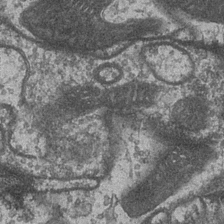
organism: Drosophila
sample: Optic medulla